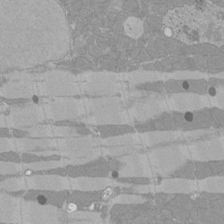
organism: Rat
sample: Left ventricle